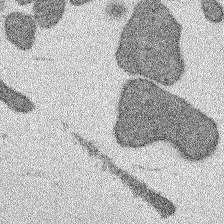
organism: Human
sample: HeLa cells